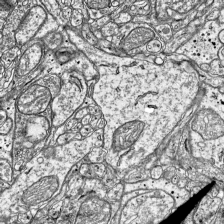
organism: Mouse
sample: Visual Cortex